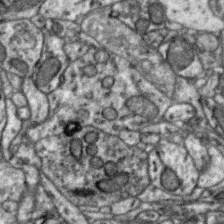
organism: Zebra finch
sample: Brain